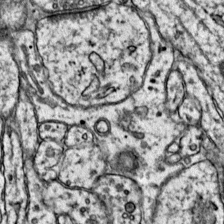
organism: Mouse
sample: Primary visual cortex